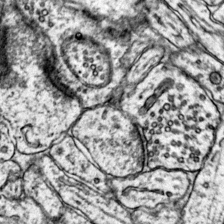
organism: Mouse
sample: Primary visual cortex